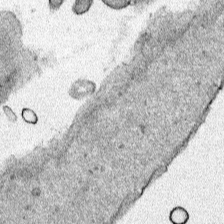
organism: Human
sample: Mitochondria in HCT116 cells